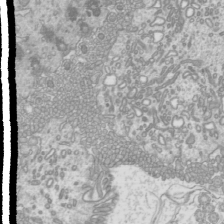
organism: Mouse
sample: Cilia; mouse epididymis